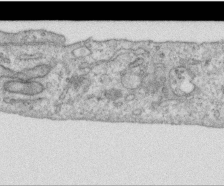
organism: Human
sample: Centriole in RPE cells